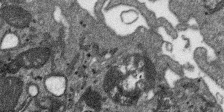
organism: Human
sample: Lung epithelial cells infected with SARS-CoV-2